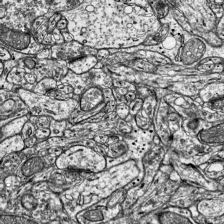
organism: Mouse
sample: Visual Cortex